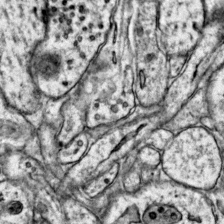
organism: Mouse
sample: Primary visual cortex